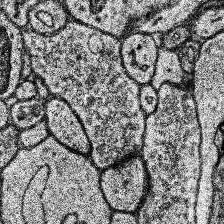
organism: Human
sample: Temporal Lobe